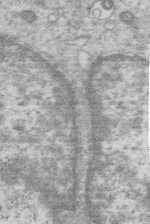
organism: Human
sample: Macrophage cells